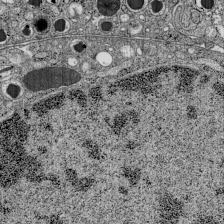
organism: C57BL Mouse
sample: Pancreatic islet